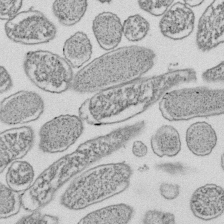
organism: E. coli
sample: Bacterial nucleoid